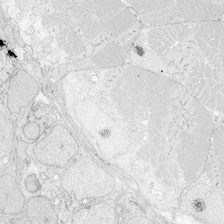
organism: Zebrafish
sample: Whole-Brain